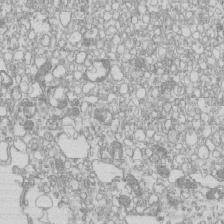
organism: Mouse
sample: Macrophages